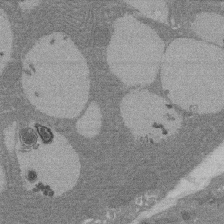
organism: Rat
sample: Salivary granule